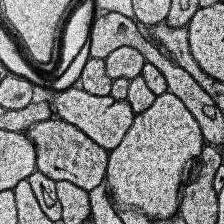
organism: Human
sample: Temporal Lobe